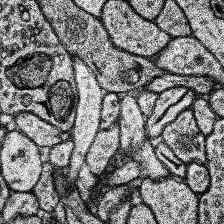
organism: Human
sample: Temporal Lobe